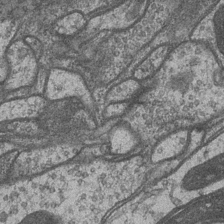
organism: Drosophila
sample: Optic medulla